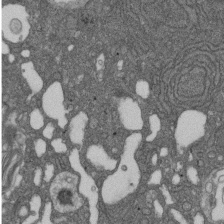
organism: Drosophila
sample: Nephrocyte